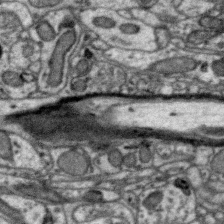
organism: Zebra finch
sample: Brain